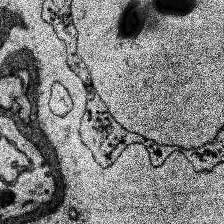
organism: Human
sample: Temporal Lobe